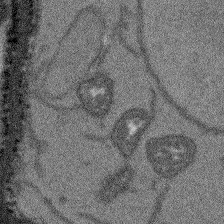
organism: Arabidopsis thaliana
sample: Root tip